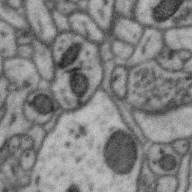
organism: Zebra finch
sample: Brain